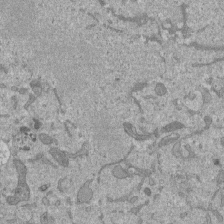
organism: Mouse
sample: ED-1 cell nuclei; centrioles